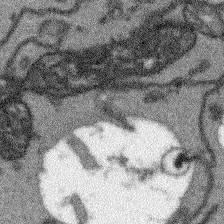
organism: Arabidopsis thaliana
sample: Root tip